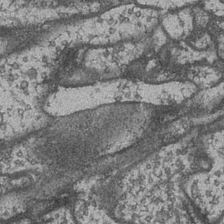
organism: Drosophila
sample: Optic medulla